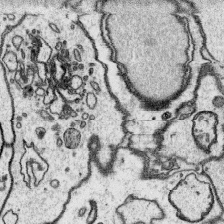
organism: Platynereis dumerilii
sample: Parapodia